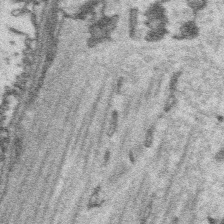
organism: Platynereis dumerilii